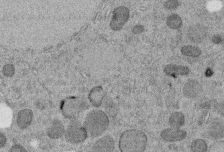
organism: C. elegans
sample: C. elegans embryo early stage